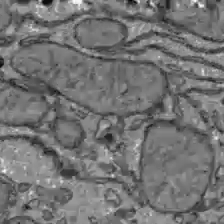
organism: C57BL Mouse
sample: Liver